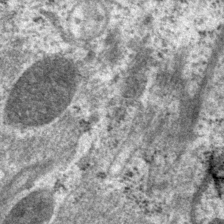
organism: P. pacificus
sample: Pharynx